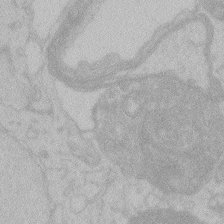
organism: Zebrafish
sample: Macrophage infected with Toxoplasma gondii